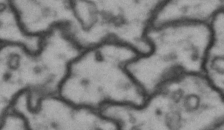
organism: Drosophila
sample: Brain